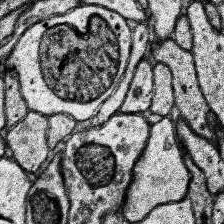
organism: Human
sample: Temporal Lobe